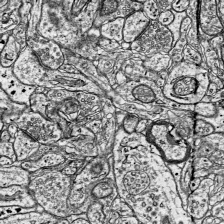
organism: Mouse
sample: Visual Cortex